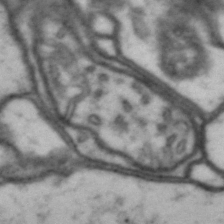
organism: Drosophila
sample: Brain